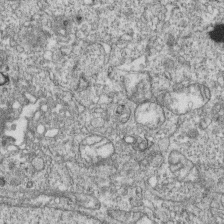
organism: Human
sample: HeLa cell HIV synapse